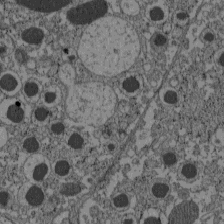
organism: C57BL Mouse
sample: Pancreatic islet